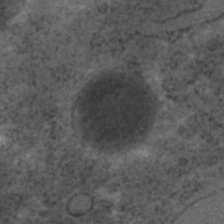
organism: C. elegans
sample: C. elegans embryo